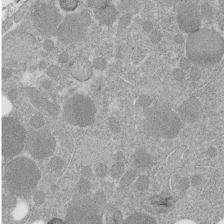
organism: C. elegans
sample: C. elegans embryo early stage